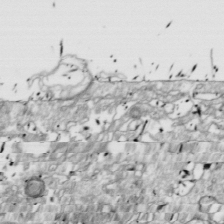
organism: Drosophila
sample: Cell division; meiosis; drosophila spermatocytes